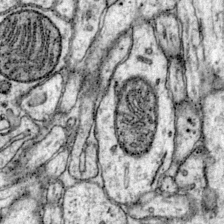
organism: Mouse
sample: Primary visual cortex